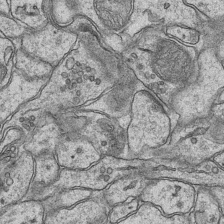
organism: Mouse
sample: CA1 Hippocampus